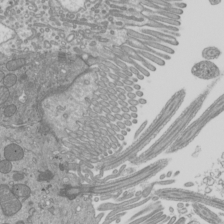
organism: Mouse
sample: Cilia; mouse epididymis